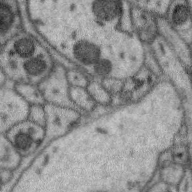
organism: Zebra finch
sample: Brain